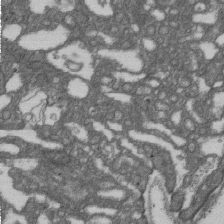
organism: Drosophila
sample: Nephrocyte